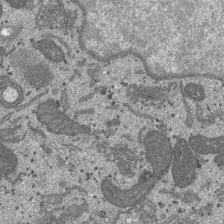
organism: Human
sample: Lung epithelial cells infected with SARS-CoV-2